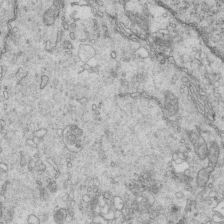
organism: Mouse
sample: Multiciliated cells